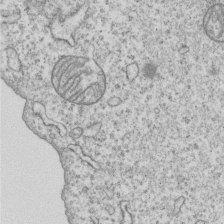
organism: Human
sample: MDA-MB-231 cells